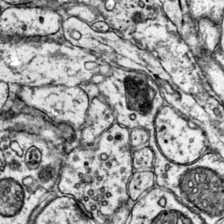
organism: Mouse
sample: Primary visual cortex